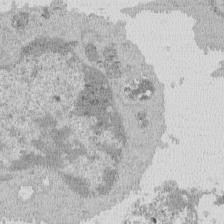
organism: Mouse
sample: Activated Pmel transgenic CD8+ T Cells